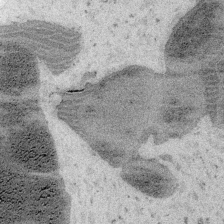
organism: Embia sp.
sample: Silk gland